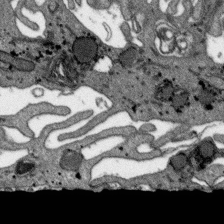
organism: Human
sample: Lung epithelial cells, uninfected (mock) control